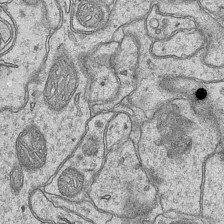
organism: Mouse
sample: CA1 Hippocampus